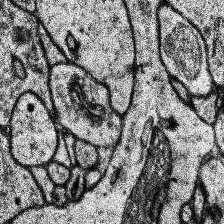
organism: Human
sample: Temporal Lobe